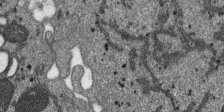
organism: Human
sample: Lung epithelial cells infected with SARS-CoV-2